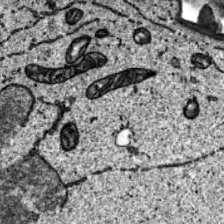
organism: Human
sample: HeLa cells